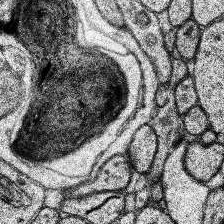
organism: Human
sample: Temporal Lobe